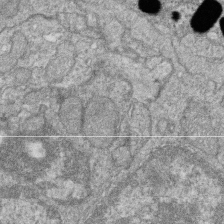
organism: Zebrafish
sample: Cilia; retinal pigment epithelium